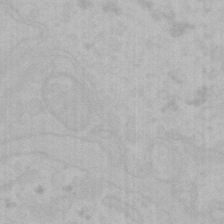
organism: Mouse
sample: Choroid plexus